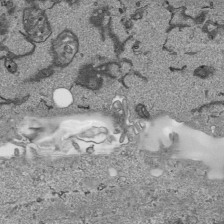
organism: Human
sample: Mitochondria in HCT116 cells